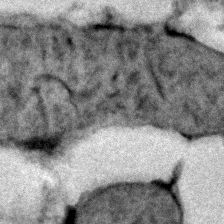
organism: C. elegans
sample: C. elegans embryo